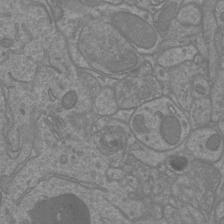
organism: Mouse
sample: Cortical neurons